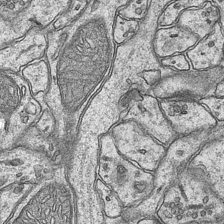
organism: Mouse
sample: CA1 Hippocampus